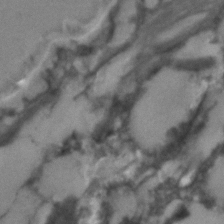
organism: C. elegans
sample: C. elegans embryo